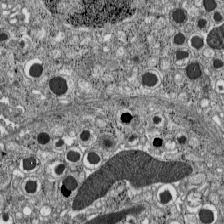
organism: C57BL Mouse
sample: Pancreatic islet